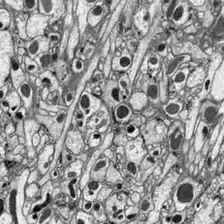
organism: Drosophila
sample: Optic lobe